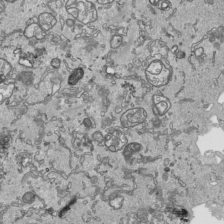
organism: Human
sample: Mitochondria in HCT116 cells